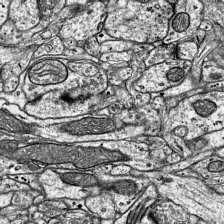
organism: Mouse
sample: Visual Cortex